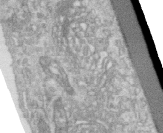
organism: Human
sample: Centriole in RPE cells